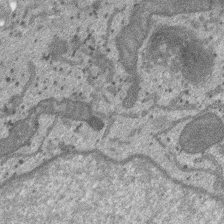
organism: Human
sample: Lung epithelial cells infected with SARS-CoV-2